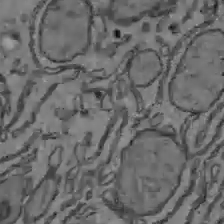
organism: C57BL Mouse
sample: Liver